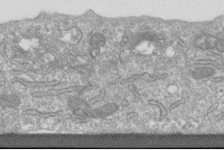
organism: Human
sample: Centriole in fibroblast cells